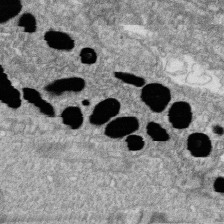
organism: Zebrafish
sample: Cilia; retinal pigment epithelium